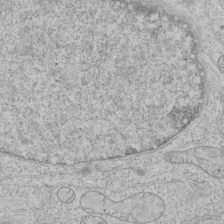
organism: Human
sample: Mitochondria in HCT116 cells